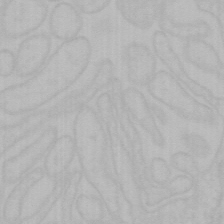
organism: Mouse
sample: Choroid plexus